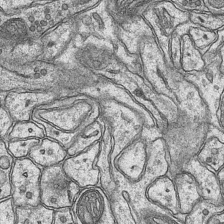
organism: Mouse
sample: CA1 Hippocampus